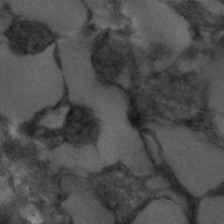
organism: C. elegans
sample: C. elegans embryo